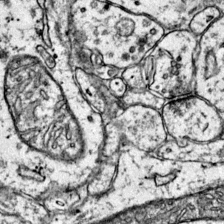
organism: Mouse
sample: Primary visual cortex